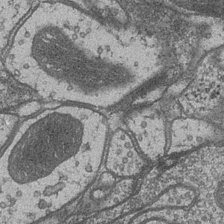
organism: Drosophila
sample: Optic medulla